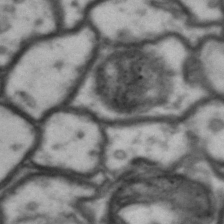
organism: Drosophila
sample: Brain